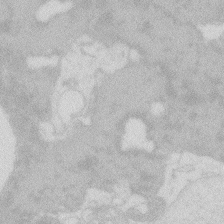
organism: Zebrafish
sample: Macrophage